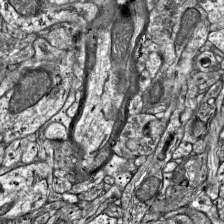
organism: Mouse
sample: Visual Cortex